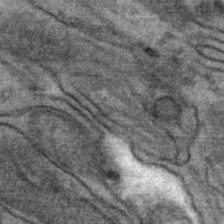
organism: Mouse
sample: Mouse Salivary gland